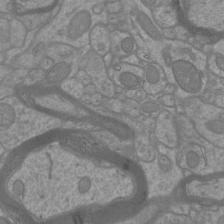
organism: Mouse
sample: Cortical neurons